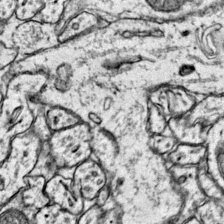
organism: Mouse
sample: Primary visual cortex